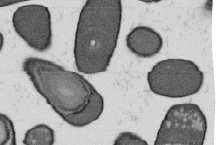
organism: B. subtilis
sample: Bacterial spore